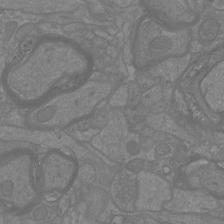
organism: Mouse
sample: Cortical neurons